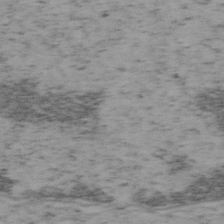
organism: Mouse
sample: OT-I killer T cells with ID8 ovarian cancer cells